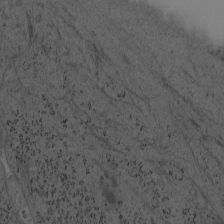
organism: Mouse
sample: OT-I killer T cells with ID8 ovarian cancer cells